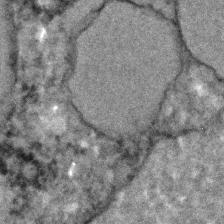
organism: C. elegans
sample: C. elegans embryo